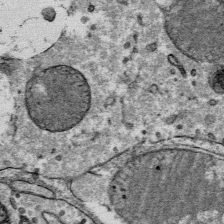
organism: Mouse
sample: Mouse Salivary gland